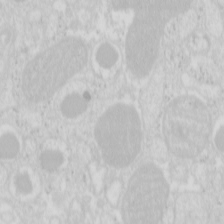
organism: Mouse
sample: Pancreas